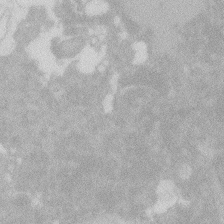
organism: Zebrafish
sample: Macrophage